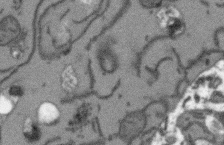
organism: Arabidopsis thaliana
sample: Root tip